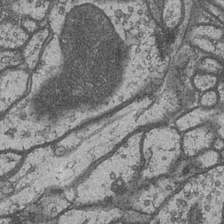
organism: Drosophila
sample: Optic medulla